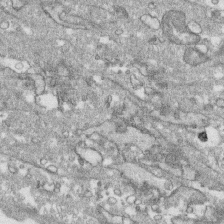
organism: Human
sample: CRL-1474